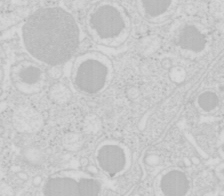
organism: Mouse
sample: Pancreas